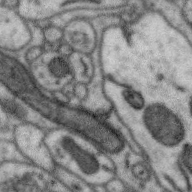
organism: Zebra finch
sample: Brain